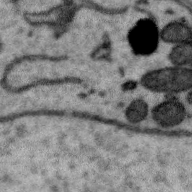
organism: Zebra finch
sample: Brain